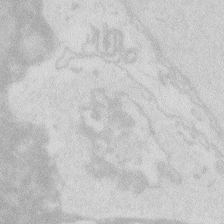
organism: Zebrafish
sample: Macrophage